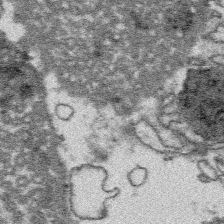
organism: Platynereis dumerilii